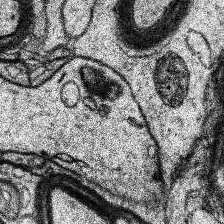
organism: Human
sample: Temporal Lobe